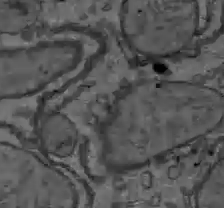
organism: C57BL Mouse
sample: Liver